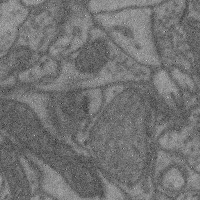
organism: Mouse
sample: Cerebral cortex